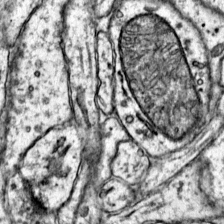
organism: Mouse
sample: Primary visual cortex